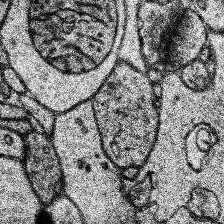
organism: Human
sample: Temporal Lobe